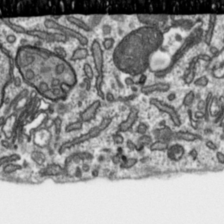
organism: Toxoplasma gondii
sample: Parasites in a vacuole inside a host cell